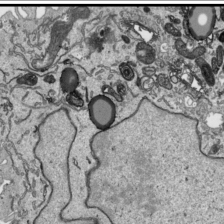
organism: Human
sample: Mitochondria in HCT116 cells